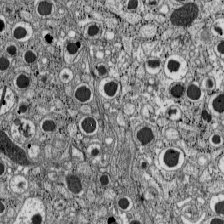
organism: C57BL Mouse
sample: Pancreatic islet